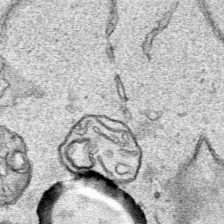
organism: Human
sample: Mitochondria in HCT116 cells